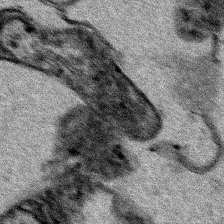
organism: Human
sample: Mitochondria in HCT116 cells